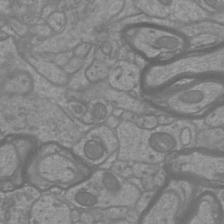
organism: Mouse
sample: Cortical neurons